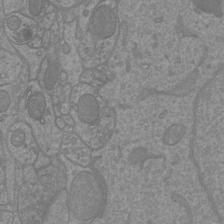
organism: Mouse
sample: Cortical neurons